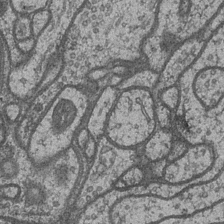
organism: Drosophila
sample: Optic medulla